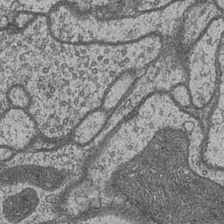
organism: Drosophila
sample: Optic medulla